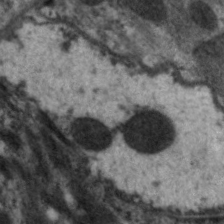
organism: C. elegans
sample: Pharynx